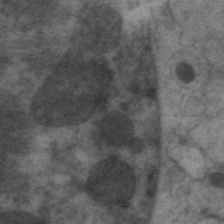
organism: C. elegans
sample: Pharynx